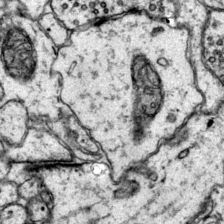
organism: Mouse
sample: Primary visual cortex